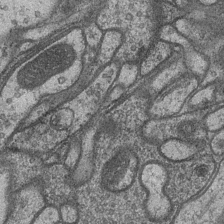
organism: Drosophila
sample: Optic medulla